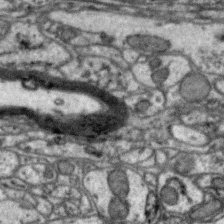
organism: Zebra finch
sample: Brain